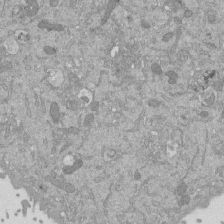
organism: Mouse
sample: ED-1 cell nuclei; centrioles